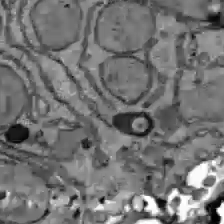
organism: C57BL Mouse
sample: Liver